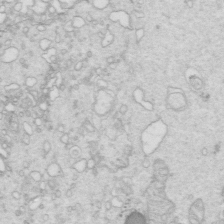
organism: Mouse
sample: Multiciliated cells